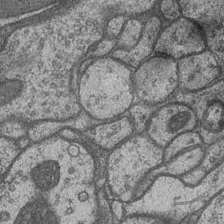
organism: Drosophila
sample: Optic medulla